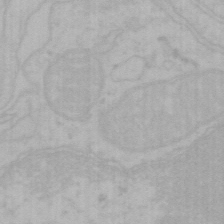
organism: Mouse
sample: Choroid plexus